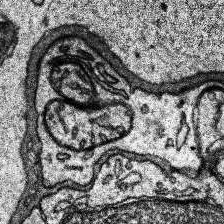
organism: Human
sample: Temporal Lobe